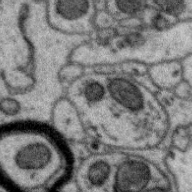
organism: Zebra finch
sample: Brain